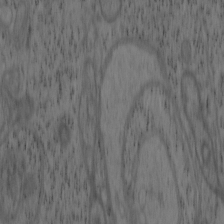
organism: Human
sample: HeLa cells